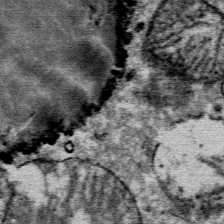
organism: Mouse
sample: Mouse Salivary gland